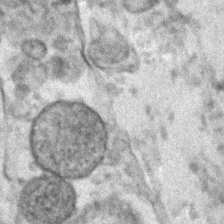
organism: Human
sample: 1205lu cells